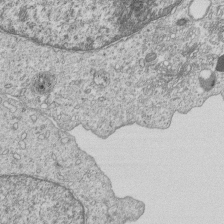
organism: Human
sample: MDA-MB-231 cells